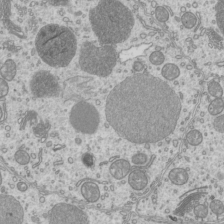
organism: Mouse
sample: Cilia; mouse epididymis